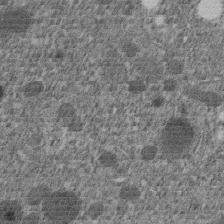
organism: C. elegans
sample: C. elegans embryo early stage